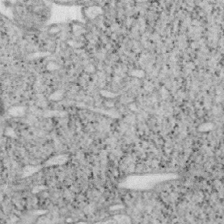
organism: Mouse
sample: OT-I killer T cells with ID8 ovarian cancer cells